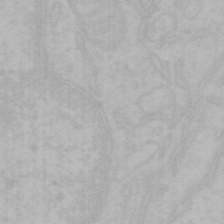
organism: Mouse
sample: Choroid plexus